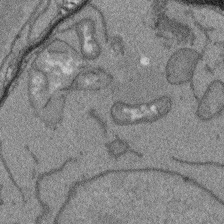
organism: Arabidopsis thaliana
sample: Root tip